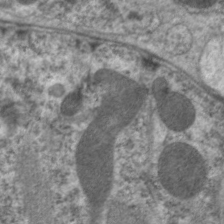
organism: C. elegans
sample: Pharynx